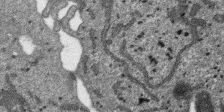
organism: Human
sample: Lung epithelial cells infected with SARS-CoV-2